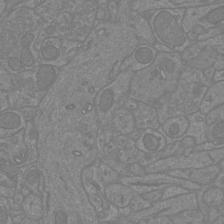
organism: Mouse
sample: Cortical neurons